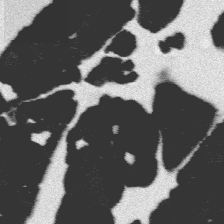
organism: Platynereis dumerilii